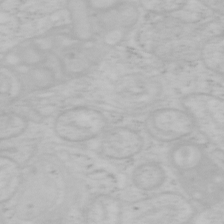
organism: Mouse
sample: OT-I killer T cells with ID8 ovarian cancer cells